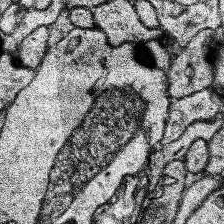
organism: Human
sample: Temporal Lobe